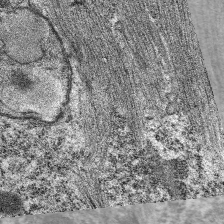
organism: C. elegans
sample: Pharynx